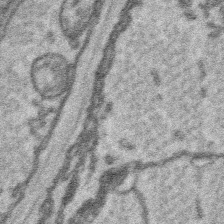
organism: Platynereis dumerilii